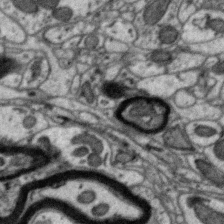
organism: Zebra finch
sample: Brain